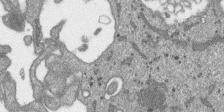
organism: Human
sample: Lung epithelial cells infected with SARS-CoV-2